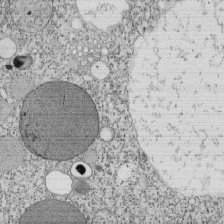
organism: Tetrahymena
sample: Cilia in tetrahymena